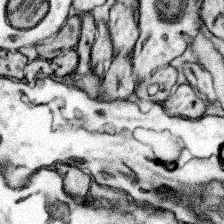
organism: Mouse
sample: Somatosensory cortex neuropil